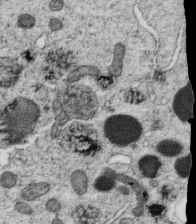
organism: C. elegans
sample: C. elegans oocyte; sperm cells